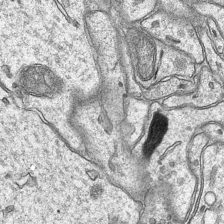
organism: Mouse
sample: CA1 Hippocampus